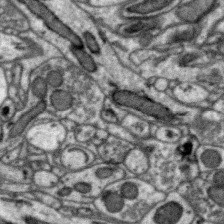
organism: Zebra finch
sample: Brain